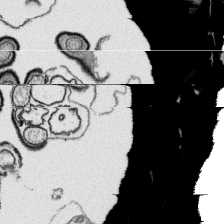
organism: Platynereis dumerilii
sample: Parapodia